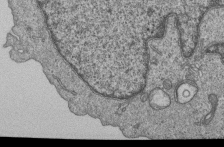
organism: Human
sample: MDA-MB-231 cells